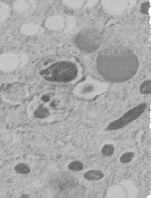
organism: C. elegans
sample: C. elegans embryo early stage